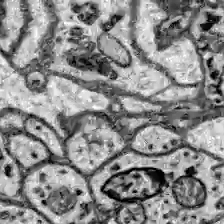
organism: Zebrafish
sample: Brain